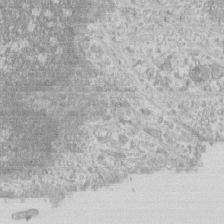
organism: Human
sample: CRL-1474